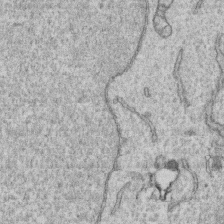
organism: Human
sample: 1205lu cells